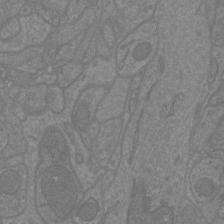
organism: Mouse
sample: Cortical neurons